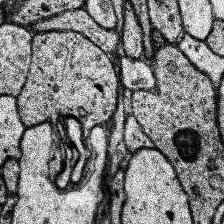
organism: Human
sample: Temporal Lobe